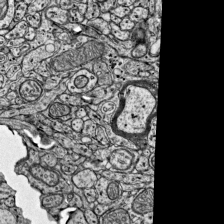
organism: Mouse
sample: Visual Cortex